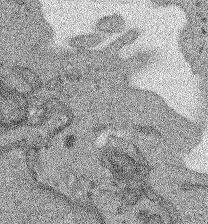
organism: Human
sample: HeLa cells